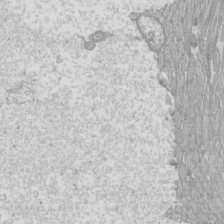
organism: Mouse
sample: Cilia; mouse epididymis